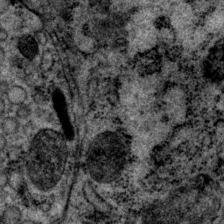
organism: P. pacificus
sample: Pharynx